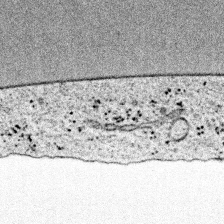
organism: Human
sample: HeLa cells